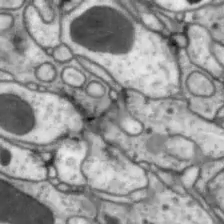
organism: Drosophila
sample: Optic lobe